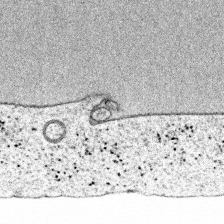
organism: Human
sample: HeLa cells